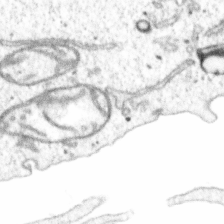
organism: Human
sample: HeLa cells